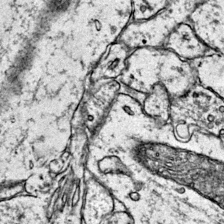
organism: Mouse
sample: Primary visual cortex